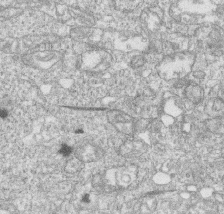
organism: Human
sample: HeLa cell HIV synapse